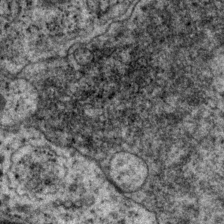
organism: P. pacificus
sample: Pharynx